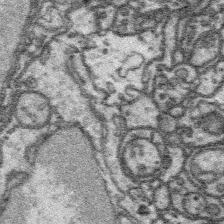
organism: Platynereis dumerilii